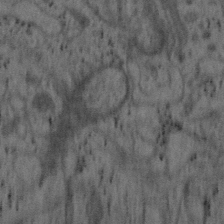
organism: Human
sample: HeLa cells